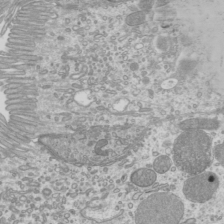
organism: Mouse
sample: Cilia; mouse epididymis